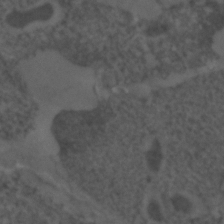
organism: C. elegans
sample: C. elegans embryo